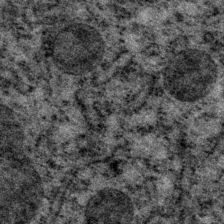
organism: P. pacificus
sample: Pharynx